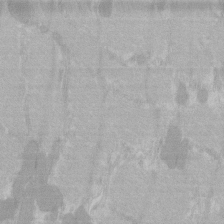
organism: C57BL Mouse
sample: Tibialis anterior muscle cell